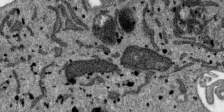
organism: Human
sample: Lung epithelial cells, uninfected (mock) control